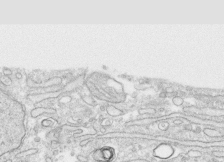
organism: Human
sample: CRL-1474